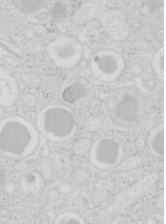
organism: Mouse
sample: Pancreas